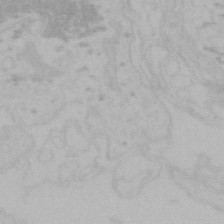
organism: Mouse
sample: Choroid plexus